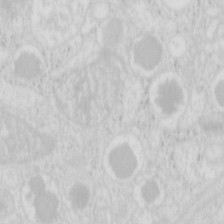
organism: Mouse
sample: Pancreas